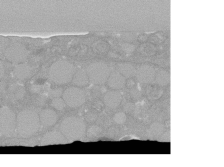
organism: C. elegans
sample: C. elegans oocyte; sperm cells